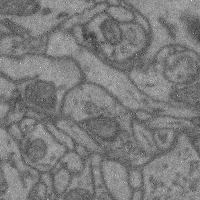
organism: Mouse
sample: Cerebral cortex